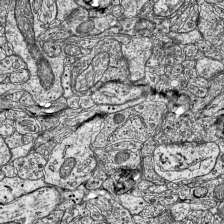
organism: Mouse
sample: Visual Cortex